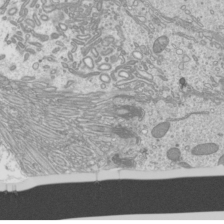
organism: Mouse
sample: Cilia; mouse epididymis